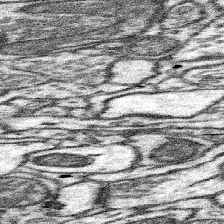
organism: Mouse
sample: Somatosensory cortex neuropil